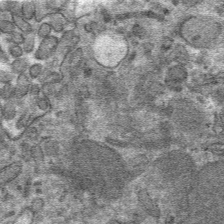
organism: Mouse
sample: Mouse hepatocytes